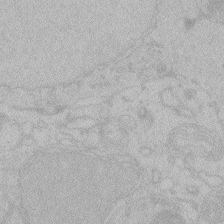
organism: Zebrafish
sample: Macrophage infected with Toxoplasma gondii